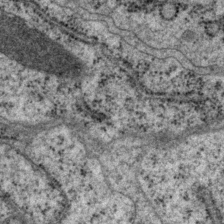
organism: P. pacificus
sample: Pharynx